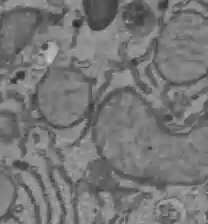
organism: C57BL Mouse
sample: Liver